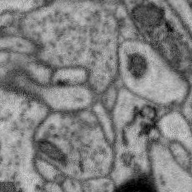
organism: Zebra finch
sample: Brain